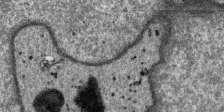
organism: Human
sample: Lung epithelial cells, uninfected (mock) control